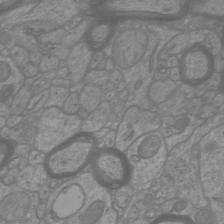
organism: Mouse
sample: Cortical neurons